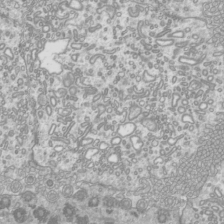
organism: Mouse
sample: Cilia; mouse epididymis